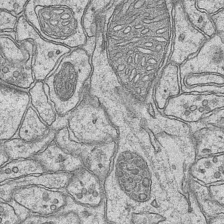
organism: Mouse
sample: CA1 Hippocampus